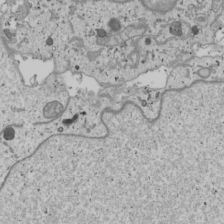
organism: Human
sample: Mitochondria in U2OS cells